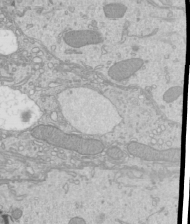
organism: Mouse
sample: Cilia; mouse epididymis